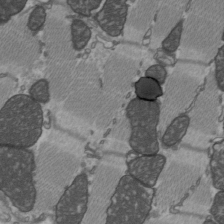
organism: C57BL Mouse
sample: Heart